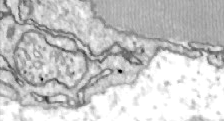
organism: Zebrafish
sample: Actinotrichia fibers